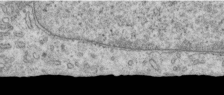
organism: Human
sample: Centriole in RPE cells